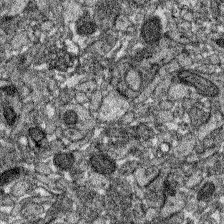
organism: Zebrafish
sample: Larval olfactory bulb